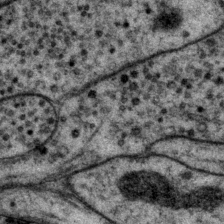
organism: P. pacificus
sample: Pharynx